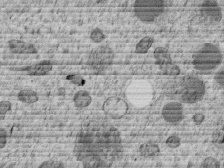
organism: C. elegans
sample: C. elegans embryo early stage